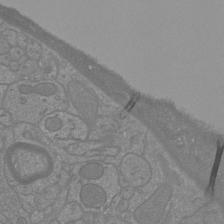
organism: Mouse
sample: Cortical neurons